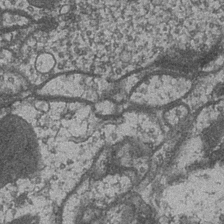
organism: Drosophila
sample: Optic medulla